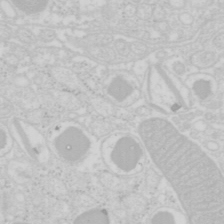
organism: Mouse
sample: Pancreas